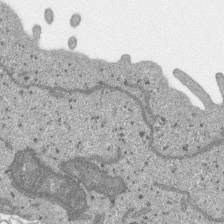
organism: Human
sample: Lung epithelial cells infected with SARS-CoV-2